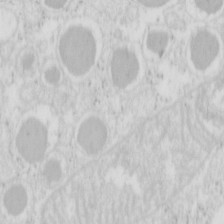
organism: Mouse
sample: Pancreas